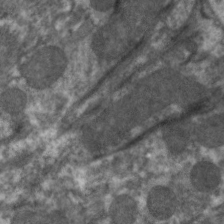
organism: C. elegans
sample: Pharynx